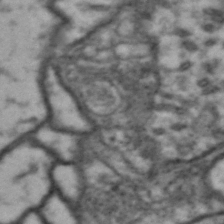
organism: Drosophila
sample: Brain